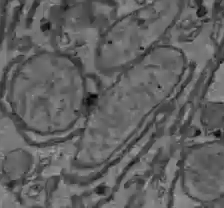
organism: C57BL Mouse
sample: Liver